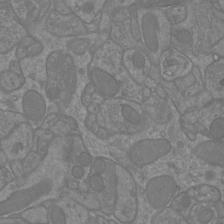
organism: Mouse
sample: Cortical neurons